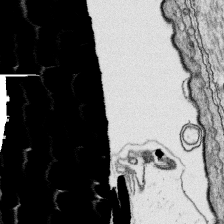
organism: Platynereis dumerilii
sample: Parapodia